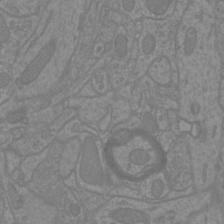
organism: Mouse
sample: Cortical neurons